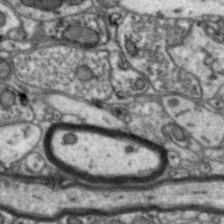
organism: Zebra finch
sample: Brain